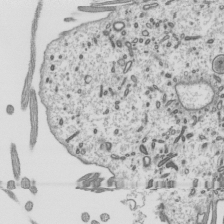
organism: Mouse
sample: Mouse epididymis efferent ductule cilia